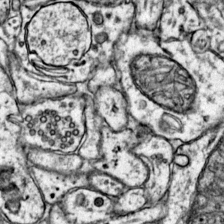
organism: Mouse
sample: Primary visual cortex